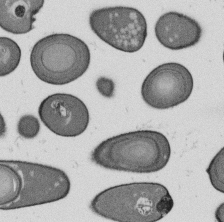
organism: B. subtilis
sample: Bacterial spore